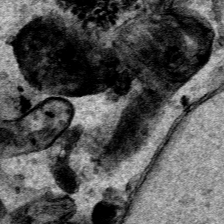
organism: Human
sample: Mitochondria in HCT116 cells